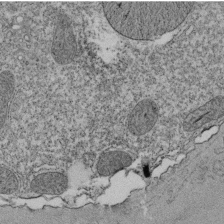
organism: Tetrahymena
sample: Cilia in tetrahymena